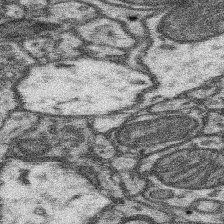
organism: Mouse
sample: Somatosensory cortex neuropil